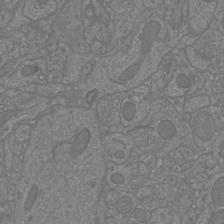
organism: Mouse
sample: Cortical neurons